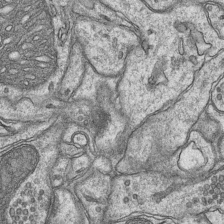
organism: Mouse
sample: CA1 Hippocampus